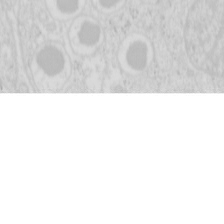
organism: Mouse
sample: Pancreas